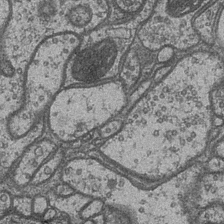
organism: Drosophila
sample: Optic medulla